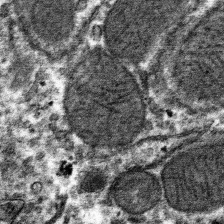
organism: Mouse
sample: Mouse hepatocytes